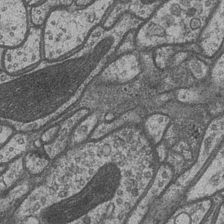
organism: Drosophila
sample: Optic medulla